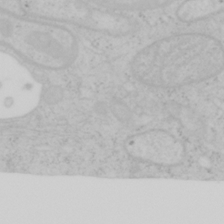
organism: Mouse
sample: OT-I killer T cells with ID8 ovarian cancer cells